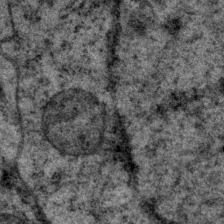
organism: P. pacificus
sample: Pharynx